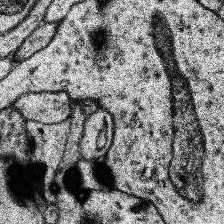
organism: Human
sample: Temporal Lobe